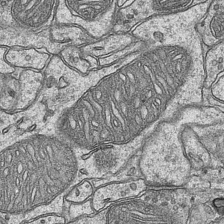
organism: Mouse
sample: CA1 Hippocampus